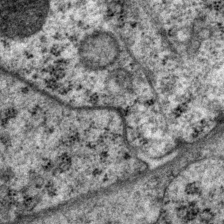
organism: P. pacificus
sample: Pharynx